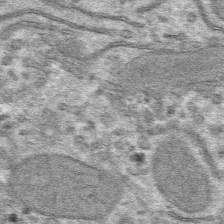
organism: Mouse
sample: Mouse hepatocytes